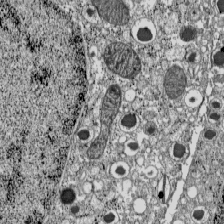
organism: C57BL Mouse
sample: Pancreatic islet